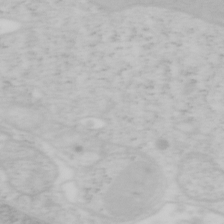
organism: Mouse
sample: OT-I killer T cells with ID8 ovarian cancer cells